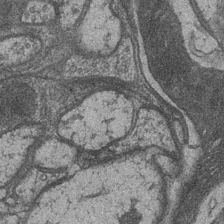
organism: Drosophila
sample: Optic medulla